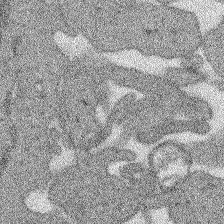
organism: Human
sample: HeLa cells